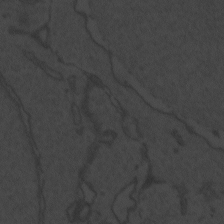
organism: Zebrafish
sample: Macrophage infected with Toxoplasma gondii